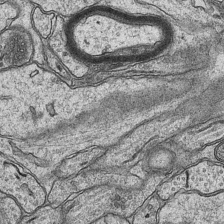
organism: Mouse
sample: CA1 Hippocampus